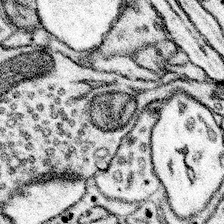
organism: Mouse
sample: Somatosensory cortex neuropil